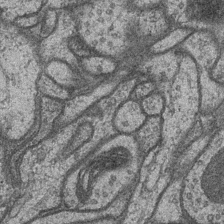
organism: Drosophila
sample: Optic medulla